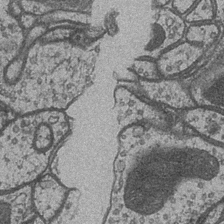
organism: Drosophila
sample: Optic medulla